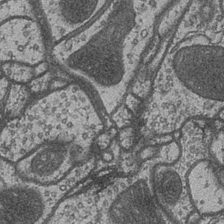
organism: Drosophila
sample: Optic medulla